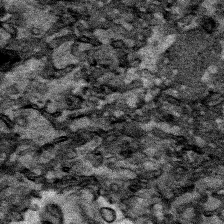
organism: Human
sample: Mitochondria in HCT116 cells